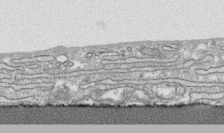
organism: Human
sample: CRL-1474